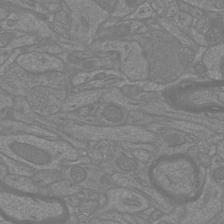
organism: Mouse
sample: Cortical neurons